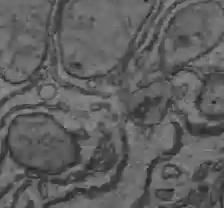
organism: C57BL Mouse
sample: Liver